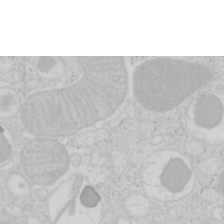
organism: Mouse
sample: Pancreas